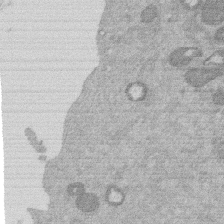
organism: Mouse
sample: Dividing mouse embryo 1 cell stage